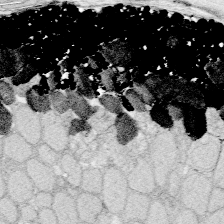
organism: Zebrafish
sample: Whole-Brain